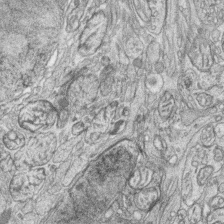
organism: Zebrafish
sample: synaptic ribbons in rod cells and cone cells